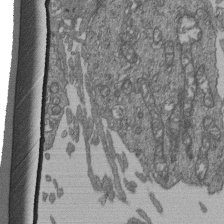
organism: Human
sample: Retinal organoid Rod and Cone cells